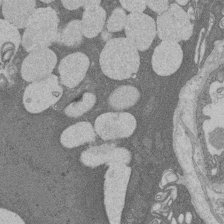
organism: Rat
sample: Salivary granule